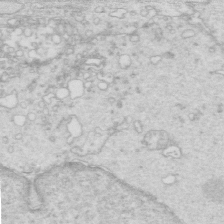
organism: Mouse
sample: Multiciliated cells